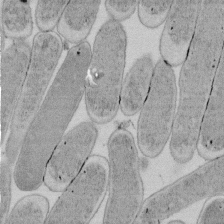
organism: E. coli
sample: Bacterial nucleoid